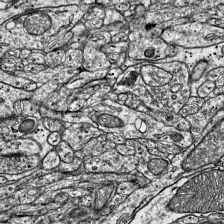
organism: Mouse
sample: Visual Cortex